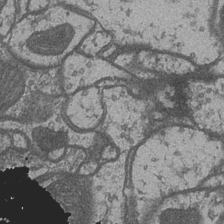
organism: Drosophila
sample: Optic medulla